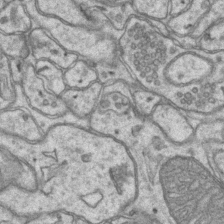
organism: Mouse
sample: CA1 Hippocampus